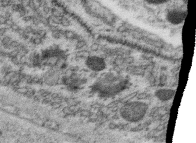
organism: C. elegans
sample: C. elegans oocyte; sperm cells